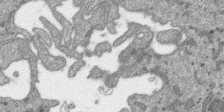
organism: Human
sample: Lung epithelial cells infected with SARS-CoV-2